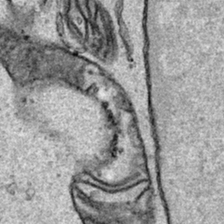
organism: Human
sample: Mitochondria in HCT116 cells